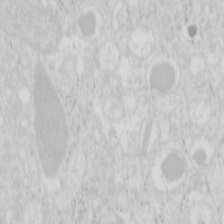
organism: Mouse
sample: Pancreas